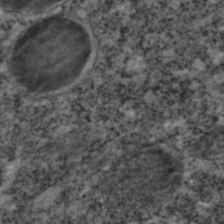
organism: C. elegans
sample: C. elegans embryo